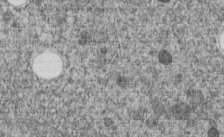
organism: C. elegans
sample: C. elegans embryo early stage